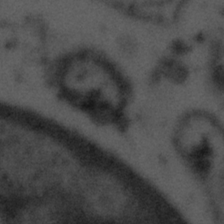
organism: Tuwongella immobilis